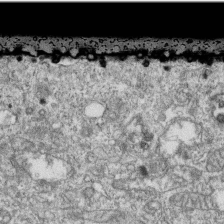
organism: Human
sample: HeLa cell HIV synapse